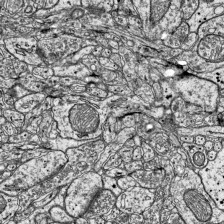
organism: Mouse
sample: Visual Cortex